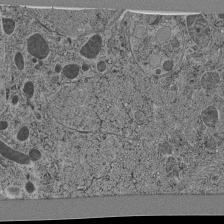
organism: C. elegans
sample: C. elegans pharynx